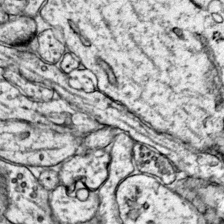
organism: Mouse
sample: Primary visual cortex